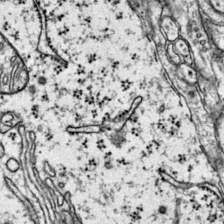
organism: Mouse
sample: Primary visual cortex